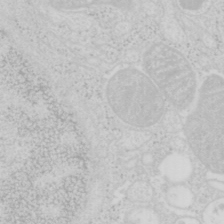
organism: Mouse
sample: Pancreas